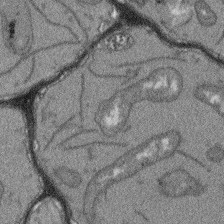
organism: Arabidopsis thaliana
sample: Root tip